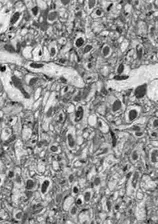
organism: Drosophila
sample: Optic lobe